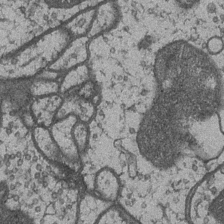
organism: Drosophila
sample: Optic medulla